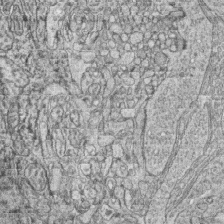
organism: Zebrafish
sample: synaptic ribbons in rod cells and cone cells